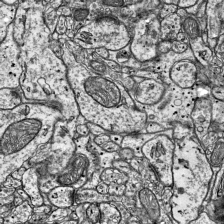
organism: Mouse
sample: Visual Cortex